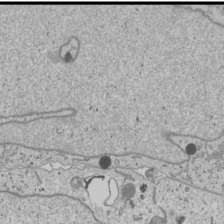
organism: Human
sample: Mitochondria in U2OS cells